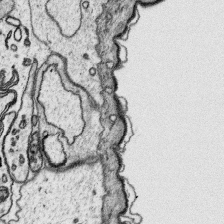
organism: Platynereis dumerilii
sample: Parapodia